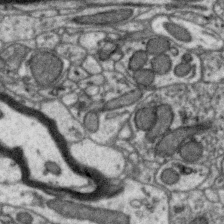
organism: Zebra finch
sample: Brain